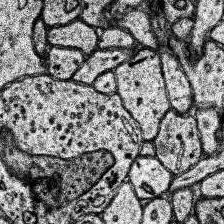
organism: Human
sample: Temporal Lobe